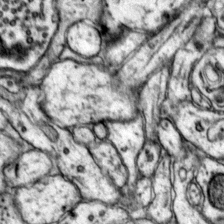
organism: Mouse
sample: Primary visual cortex